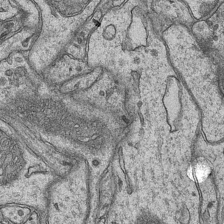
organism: Mouse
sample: CA1 Hippocampus